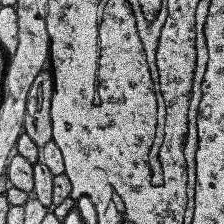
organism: Human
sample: Temporal Lobe